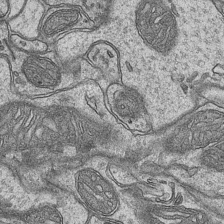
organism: Mouse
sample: CA1 Hippocampus